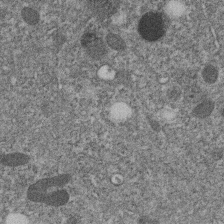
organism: C. elegans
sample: C. elegans embryo early stage